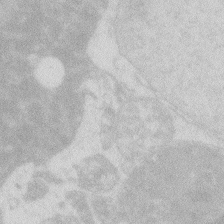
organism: Zebrafish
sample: Macrophage